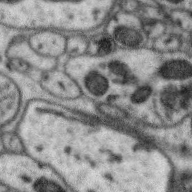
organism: Zebra finch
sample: Brain